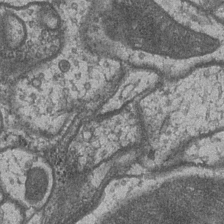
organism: Drosophila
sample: Optic medulla